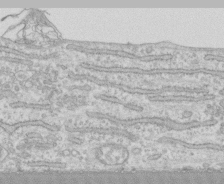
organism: Human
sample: CRL-1474